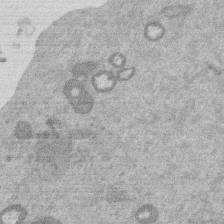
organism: Mouse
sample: Dividing mouse embryo 1 cell stage